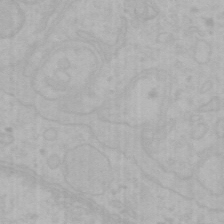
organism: Mouse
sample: Choroid plexus